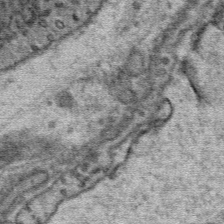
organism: Mouse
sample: Mouse Salivary gland